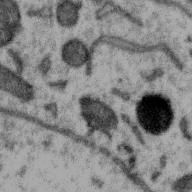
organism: Zebra finch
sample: Brain